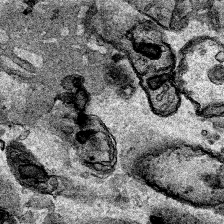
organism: Human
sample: Mitochondria in HCT116 cells